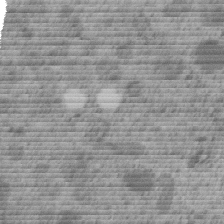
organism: C. elegans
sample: C. elegans embryo early stage